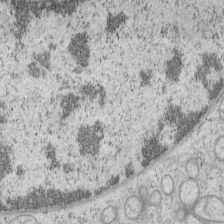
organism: Mouse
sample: OT-I killer T cells with ID8 ovarian cancer cells